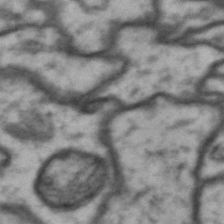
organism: Drosophila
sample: Brain